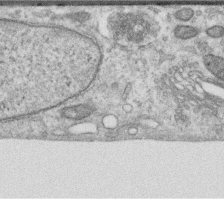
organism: Human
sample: Centriole in RPE cells